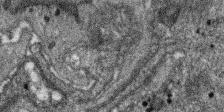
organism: Human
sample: Lung epithelial cells infected with SARS-CoV-2